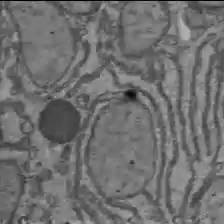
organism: C57BL Mouse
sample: Liver